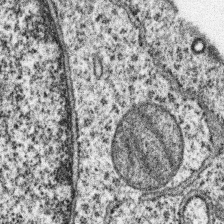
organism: Human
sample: HeLa cells